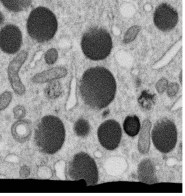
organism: C. elegans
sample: C. elegans oocyte; sperm cells